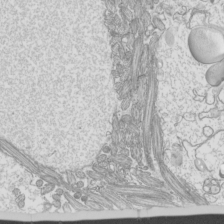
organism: Mouse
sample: Cilia; mouse epididymis